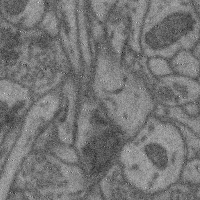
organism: Mouse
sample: Cerebral cortex